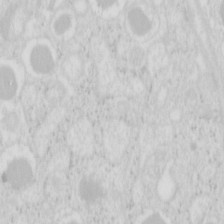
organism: Mouse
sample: Pancreas